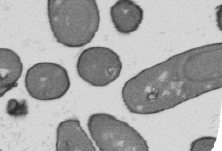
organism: B. subtilis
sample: Bacterial spore